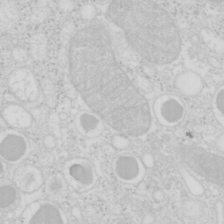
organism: Mouse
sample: Pancreas